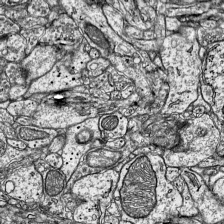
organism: Mouse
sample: Visual Cortex